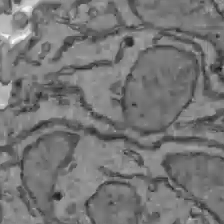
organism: C57BL Mouse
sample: Liver